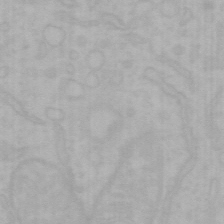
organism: Mouse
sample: Choroid plexus